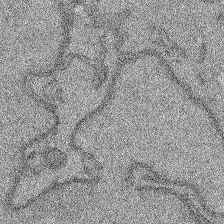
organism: Human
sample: HeLa cells